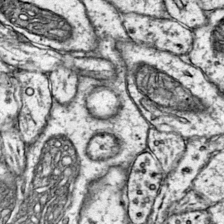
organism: Mouse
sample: Primary visual cortex